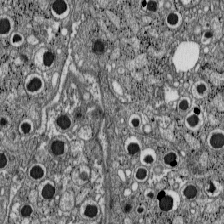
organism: C57BL Mouse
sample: Pancreatic islet